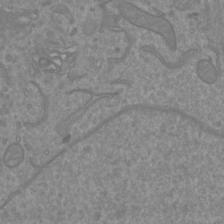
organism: Mouse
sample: Cortical neurons